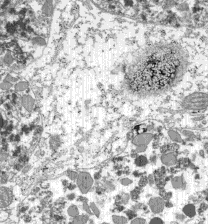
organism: C57BL Mouse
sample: Pancreatic islet